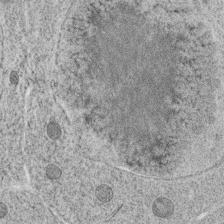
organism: C. elegans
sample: C. elegans oocyte; sperm cells